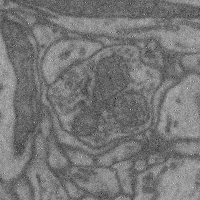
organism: Mouse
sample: Cerebral cortex